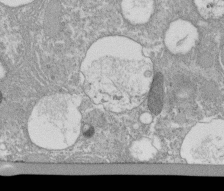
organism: Tetrahymena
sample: Cilia in tetrahymena